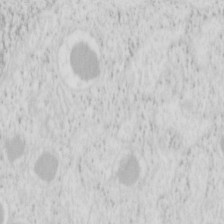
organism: Mouse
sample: Pancreas